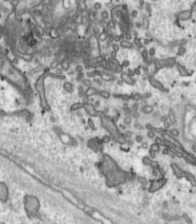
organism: Toxoplasma gondii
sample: Parasites in a vacuole inside a host cell